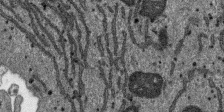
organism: Human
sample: Lung epithelial cells infected with SARS-CoV-2